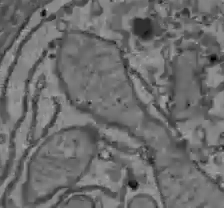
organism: C57BL Mouse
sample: Liver